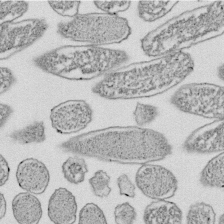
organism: E. coli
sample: Bacterial nucleoid